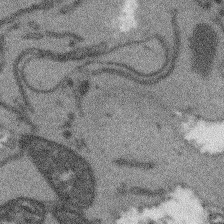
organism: Arabidopsis thaliana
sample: Root tip